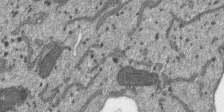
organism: Human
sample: Lung epithelial cells infected with SARS-CoV-2